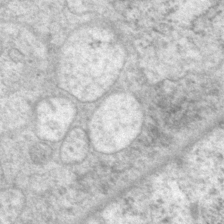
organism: P. pacificus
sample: Pharynx